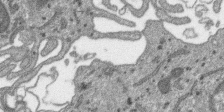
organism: Human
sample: Lung epithelial cells infected with SARS-CoV-2